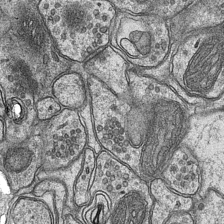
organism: Mouse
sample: CA1 Hippocampus